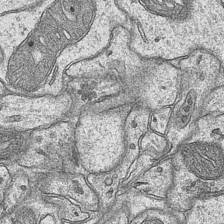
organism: Mouse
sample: CA1 Hippocampus